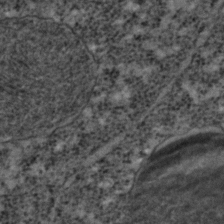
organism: C. elegans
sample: C. elegans embryo